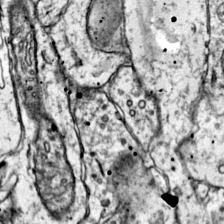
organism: Mouse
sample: Primary visual cortex